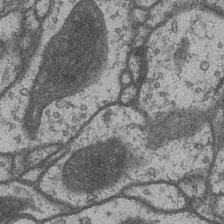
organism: Drosophila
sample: Optic medulla